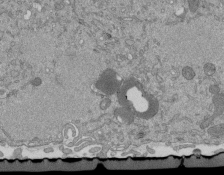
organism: Mouse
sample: ED-1 cell nuclei; centrioles